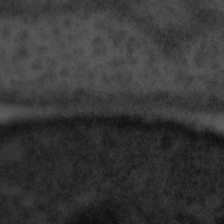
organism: Tuwongella immobilis